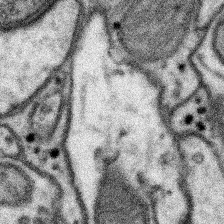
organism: Mouse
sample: Somatosensory cortex neuropil